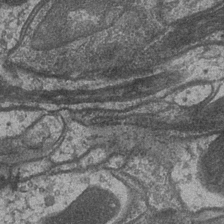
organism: Drosophila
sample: Optic medulla